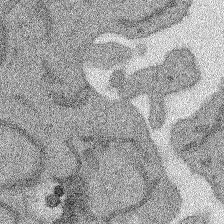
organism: Human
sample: HeLa cells